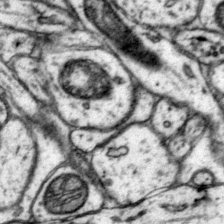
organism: Mouse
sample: Primary visual cortex